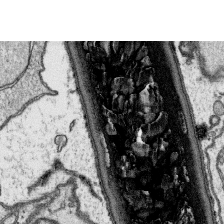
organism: Platynereis dumerilii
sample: Parapodia